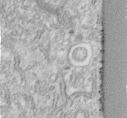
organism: Human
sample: Centriole in fibroblast cells